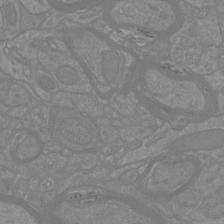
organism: Mouse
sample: Cortical neurons